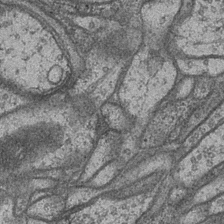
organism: Drosophila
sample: Optic medulla